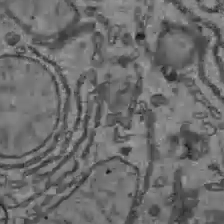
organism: C57BL Mouse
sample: Liver